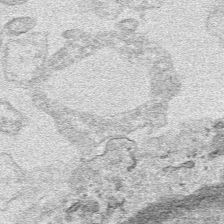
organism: Human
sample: Mitochondria in HCT116 cells